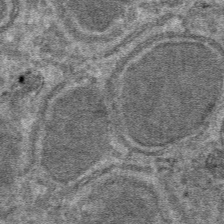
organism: Mouse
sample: Mouse hepatocytes